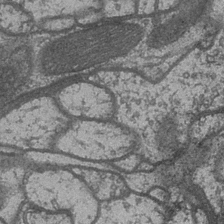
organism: Drosophila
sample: Optic medulla